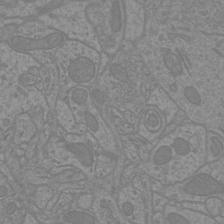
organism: Mouse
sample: Cortical neurons